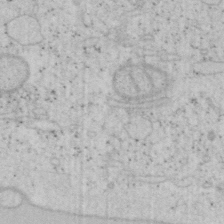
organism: Human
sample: HeLa cells